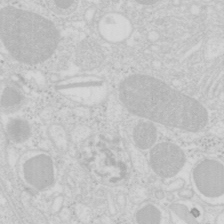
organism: Mouse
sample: Pancreas